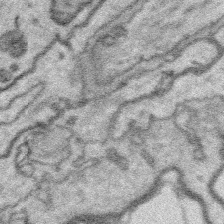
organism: Platynereis dumerilii